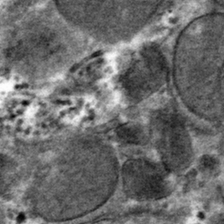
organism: Mouse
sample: Mouse hepatocytes